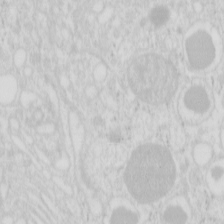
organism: Mouse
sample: Pancreas